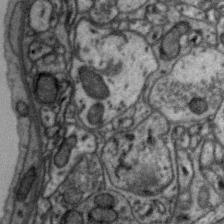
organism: Zebra finch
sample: Brain